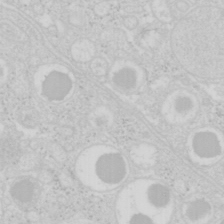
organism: Mouse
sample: Pancreas